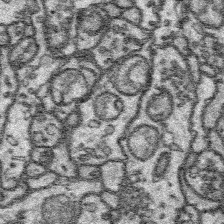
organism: Platynereis dumerilii